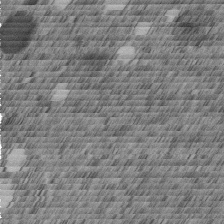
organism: C. elegans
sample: C. elegans embryo early stage